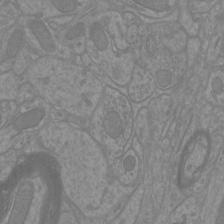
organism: Mouse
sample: Cortical neurons